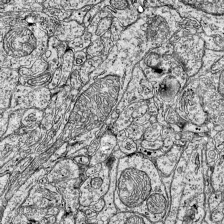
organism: Mouse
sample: Visual Cortex